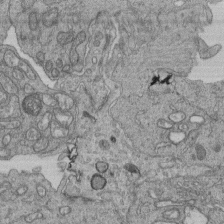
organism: Human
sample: Retinal organoid Rod and Cone cells